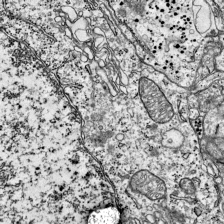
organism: Mouse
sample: Visual Cortex